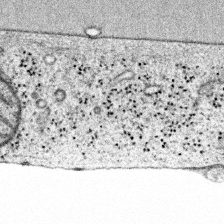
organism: Human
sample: HeLa cells